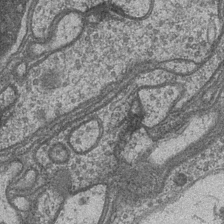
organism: Drosophila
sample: Optic medulla